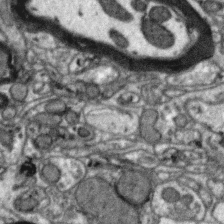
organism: Zebra finch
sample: Brain